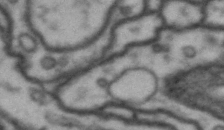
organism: Drosophila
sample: Brain